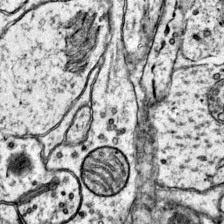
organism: Mouse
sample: Primary visual cortex